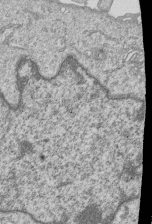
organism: Human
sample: MDA-MB-231 cells